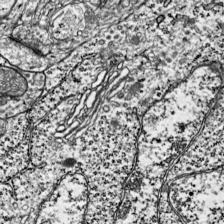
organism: Mouse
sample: Visual Cortex